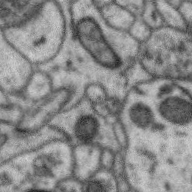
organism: Zebra finch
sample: Brain